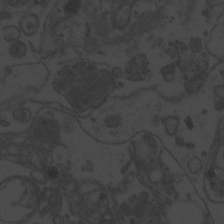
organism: Zebrafish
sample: Macrophage infected with Toxoplasma gondii